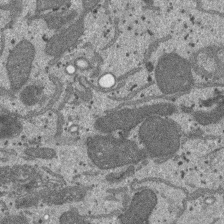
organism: Human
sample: Lung epithelial cells infected with SARS-CoV-2